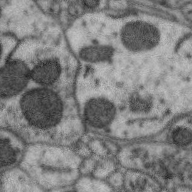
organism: Zebra finch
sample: Brain